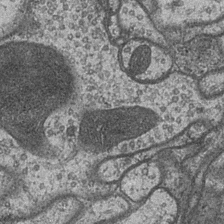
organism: Drosophila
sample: Optic medulla